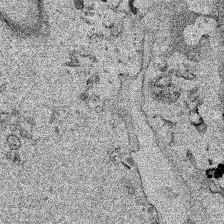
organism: Human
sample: Mitochondria in HCT116 cells